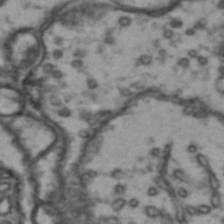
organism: Drosophila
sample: Brain